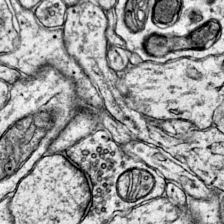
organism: Mouse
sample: Primary visual cortex